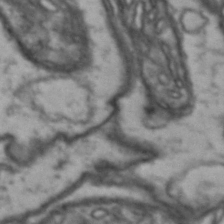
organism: Drosophila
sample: Brain